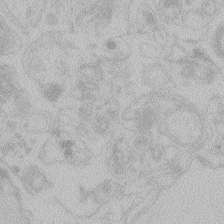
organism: Zebrafish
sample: Macrophage infected with Toxoplasma gondii